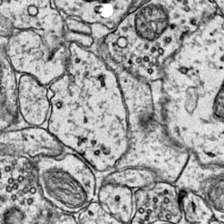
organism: Mouse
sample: Primary visual cortex